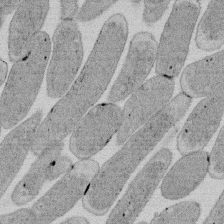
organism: E. coli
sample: Bacterial nucleoid